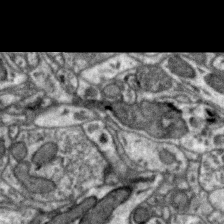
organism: Zebra finch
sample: Brain